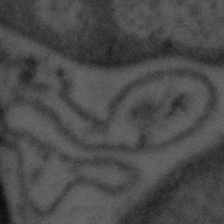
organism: Tuwongella immobilis